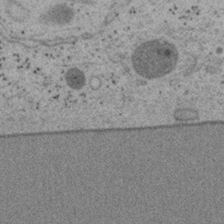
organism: Human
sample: HeLa cells